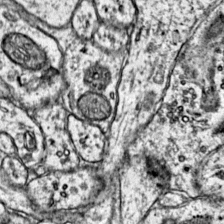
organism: Mouse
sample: Primary visual cortex